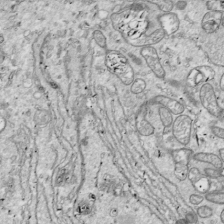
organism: Drosophila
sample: Cell division; meiosis; drosophila spermatocytes